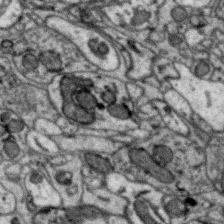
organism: Zebra finch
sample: Brain